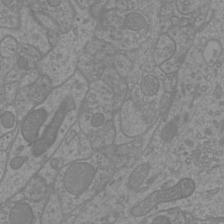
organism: Mouse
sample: Cortical neurons